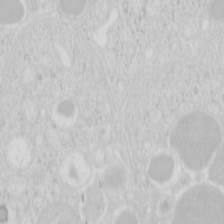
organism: Mouse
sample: Pancreas